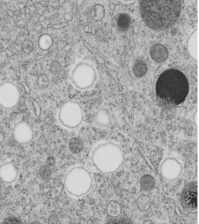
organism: C. elegans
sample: C. elegans embryo early stage